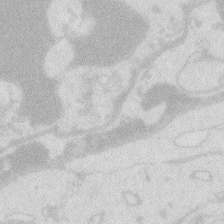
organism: Zebrafish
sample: Macrophage